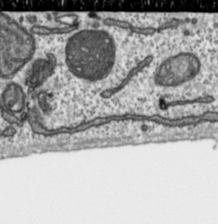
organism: Toxoplasma gondii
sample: Parasites in a vacuole inside a host cell